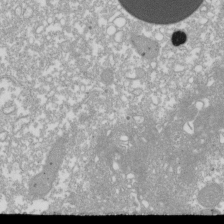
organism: Xenopus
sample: Cilia; centrioles in frog embryo cells